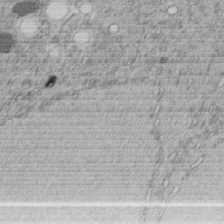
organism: C. elegans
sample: C. elegans embryo early stage